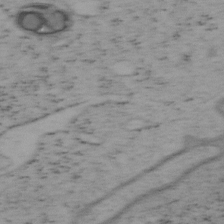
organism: Mouse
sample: OT-I killer T cells with ID8 ovarian cancer cells